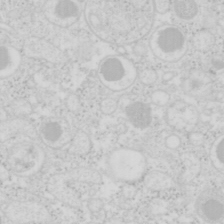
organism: Mouse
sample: Pancreas